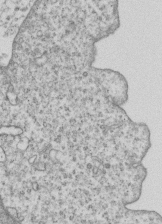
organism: Human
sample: MDA-MB-231 cells